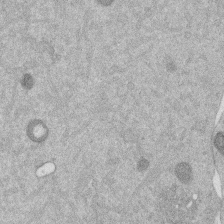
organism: Mouse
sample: Dividing mouse embryo 1 cell stage